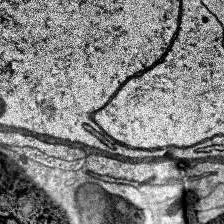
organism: Human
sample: Temporal Lobe